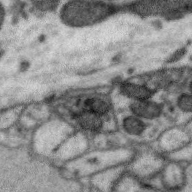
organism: Zebra finch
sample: Brain